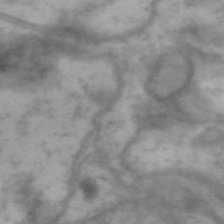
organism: Drosophila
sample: Brain